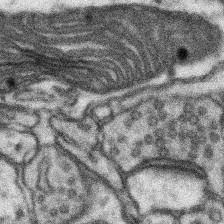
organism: Mouse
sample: Somatosensory cortex neuropil